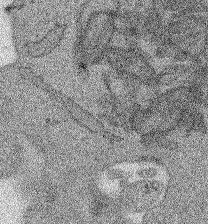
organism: Human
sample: HeLa cells